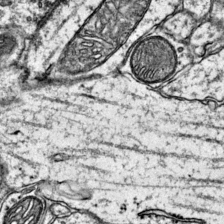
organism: Mouse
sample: Primary visual cortex